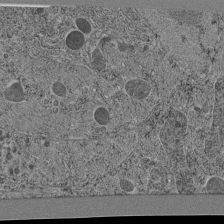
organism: C. elegans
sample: C. elegans pharynx